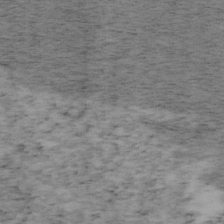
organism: Mouse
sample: OT-I killer T cells with ID8 ovarian cancer cells